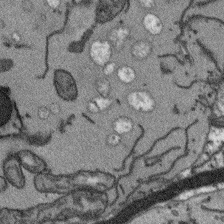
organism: Arabidopsis thaliana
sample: Root tip